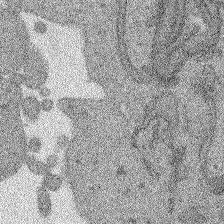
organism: Human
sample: HeLa cells